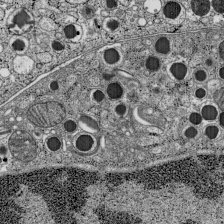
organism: C57BL Mouse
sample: Pancreatic islet